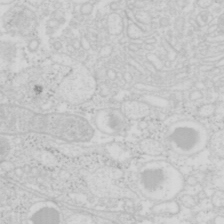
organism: Mouse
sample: Pancreas